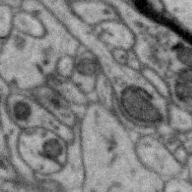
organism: Zebra finch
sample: Brain